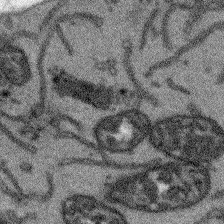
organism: Arabidopsis thaliana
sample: Root tip